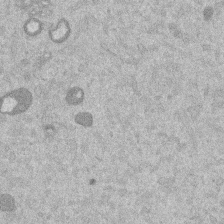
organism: Mouse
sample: Dividing mouse embryo 1 cell stage